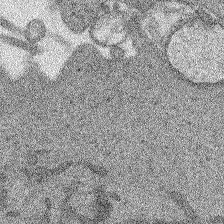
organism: Human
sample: HeLa cells